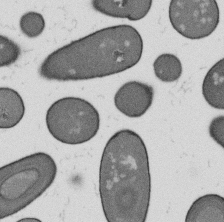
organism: B. subtilis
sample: Bacterial spore